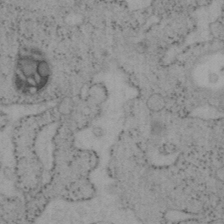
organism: Mouse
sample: OT-I killer T cells with ID8 ovarian cancer cells